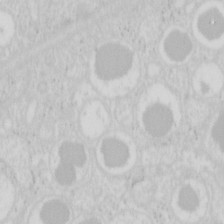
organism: Mouse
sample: Pancreas